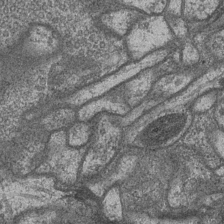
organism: Drosophila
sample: Optic medulla